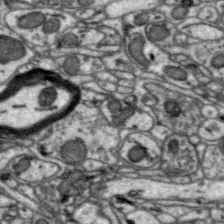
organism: Zebra finch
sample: Brain